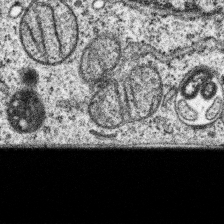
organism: Human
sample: HeLa cells